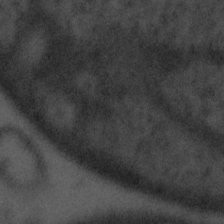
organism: Tuwongella immobilis